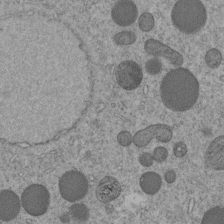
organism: C. elegans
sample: C. elegans embryo early stage